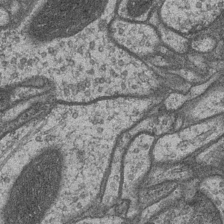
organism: Drosophila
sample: Optic medulla